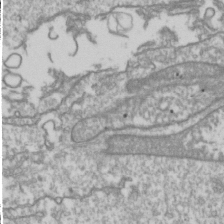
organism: Drosophila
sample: Cell division; meiosis; drosophila spermatocytes